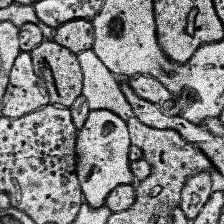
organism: Human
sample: Temporal Lobe